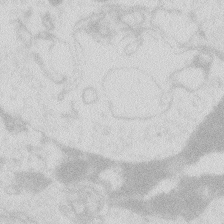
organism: Zebrafish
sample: Macrophage